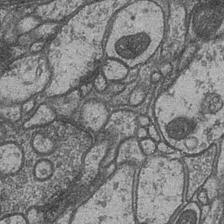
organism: Drosophila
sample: Optic medulla